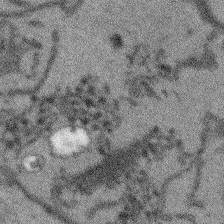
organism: Arabidopsis thaliana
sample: Root tip